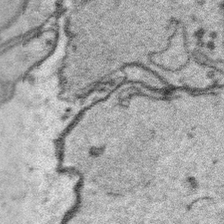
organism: Platynereis dumerilii